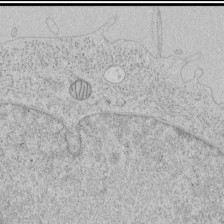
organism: Human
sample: Mitochondria in HCT116 cells